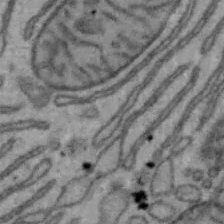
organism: Mouse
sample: Liver